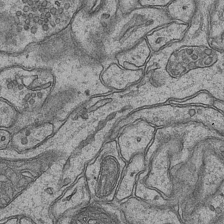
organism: Mouse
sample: CA1 Hippocampus